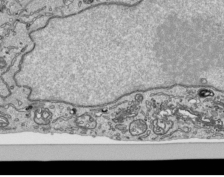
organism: Human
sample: Mitochondria in HCT116 cells